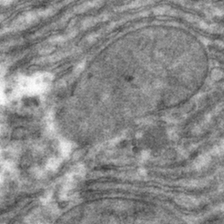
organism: Mouse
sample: Mouse hepatocytes